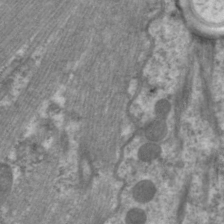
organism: C. elegans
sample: Pharynx